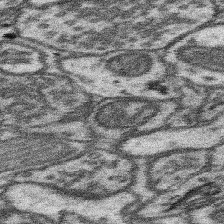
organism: Mouse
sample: Somatosensory cortex neuropil